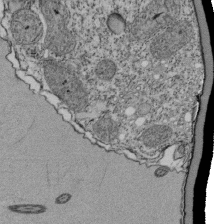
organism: Tetrahymena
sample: Cilia in tetrahymena